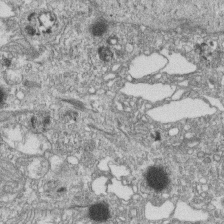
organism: Human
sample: HeLa cell HIV synapse